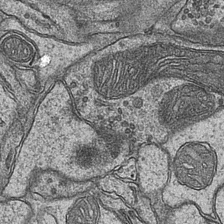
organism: Mouse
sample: CA1 Hippocampus